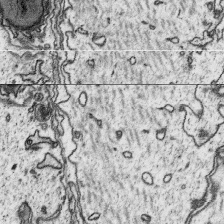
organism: Platynereis dumerilii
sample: Parapodia